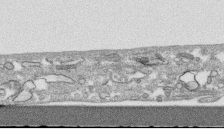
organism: Human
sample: CRL-1474